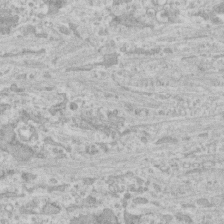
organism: Human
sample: CRL-1474